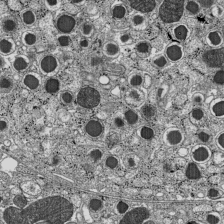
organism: C57BL Mouse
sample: Pancreatic islet